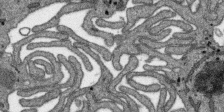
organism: Human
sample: Lung epithelial cells, uninfected (mock) control